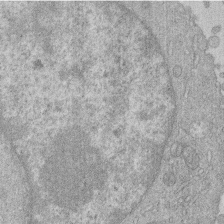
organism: Human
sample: Macrophage cells